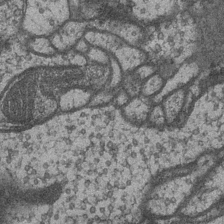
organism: Drosophila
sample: Optic medulla